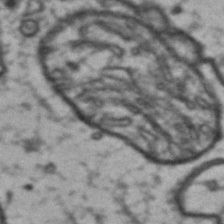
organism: Drosophila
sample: Brain